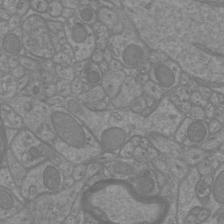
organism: Mouse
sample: Cortical neurons